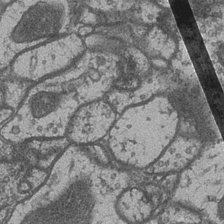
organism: Drosophila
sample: Optic medulla